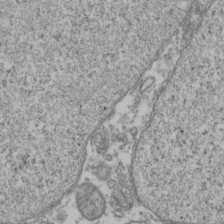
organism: Human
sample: Activated Jurkat CD4+ T cells